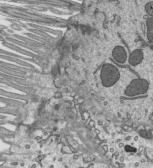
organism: Mouse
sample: Mouse epididymis efferent ductule cilia